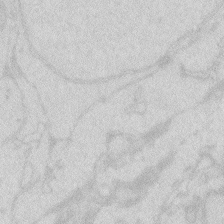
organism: Zebrafish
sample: Macrophage